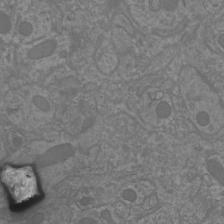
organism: Mouse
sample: Cortical neurons